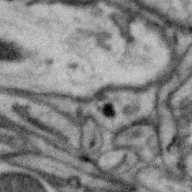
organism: Zebra finch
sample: Brain